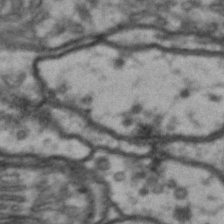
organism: Drosophila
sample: Brain